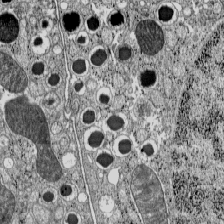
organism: C57BL Mouse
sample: Pancreatic islet